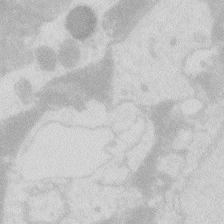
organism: Zebrafish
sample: Macrophage